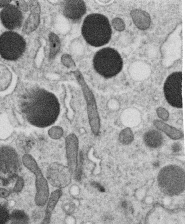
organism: C. elegans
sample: C. elegans oocyte; sperm cells